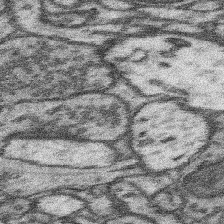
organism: Mouse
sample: Somatosensory cortex neuropil